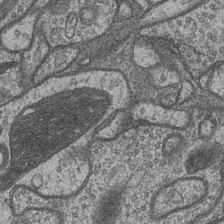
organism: Drosophila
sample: Optic medulla